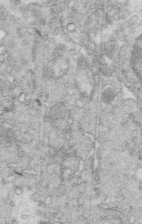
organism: Mouse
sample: Multiciliated cells